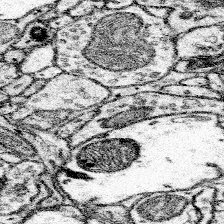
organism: Mouse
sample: Somatosensory cortex neuropil